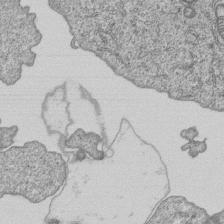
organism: Human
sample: MDA-MB-231 cells